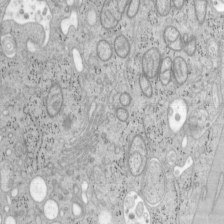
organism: Mouse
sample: OT-I killer T cells with ID8 ovarian cancer cells